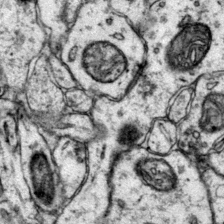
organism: Mouse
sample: Primary visual cortex